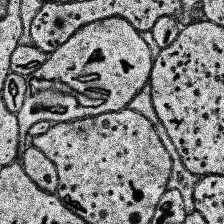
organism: Human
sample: Temporal Lobe